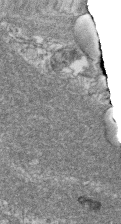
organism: Zebrafish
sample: Cilia; retinal pigment epithelium